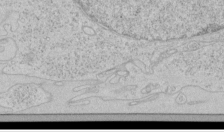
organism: Human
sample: Mitochondria in HCT116 cells